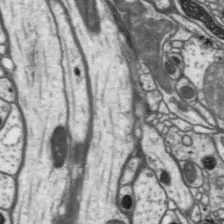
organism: Drosophila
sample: Protocerebral bridge